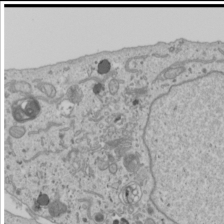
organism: Human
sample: Mitochondria in U2OS cells